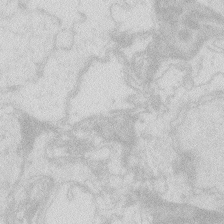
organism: Zebrafish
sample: Macrophage